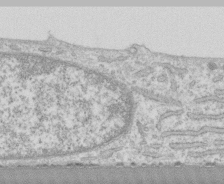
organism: Human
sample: CRL-1474